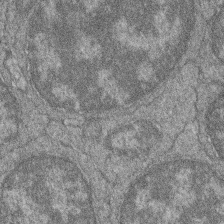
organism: Zebrafish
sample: Cilia; retinal pigment epithelium